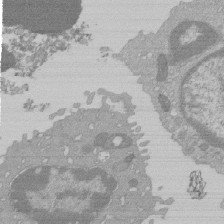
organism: Mouse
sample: Activated Pmel transgenic CD8+ T Cells